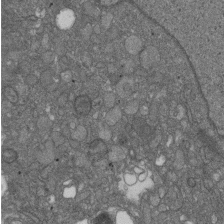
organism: Drosophila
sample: Nephrocyte